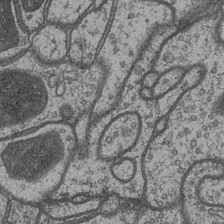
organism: Drosophila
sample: Optic medulla